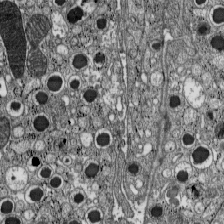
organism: C57BL Mouse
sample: Pancreatic islet